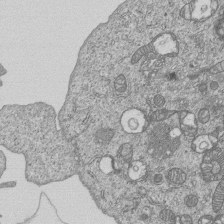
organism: Human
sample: MDA-MB-231 cells